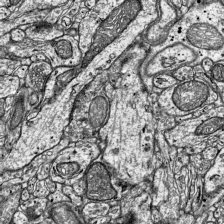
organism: Mouse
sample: Visual Cortex